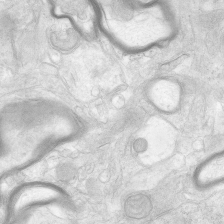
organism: Human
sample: Neocortex